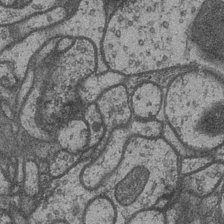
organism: Drosophila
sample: Optic medulla